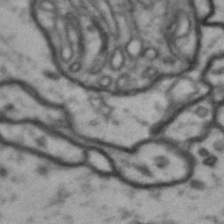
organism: Drosophila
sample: Brain